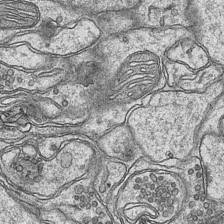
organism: Mouse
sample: CA1 Hippocampus